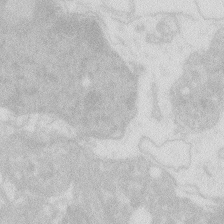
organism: Zebrafish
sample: Macrophage